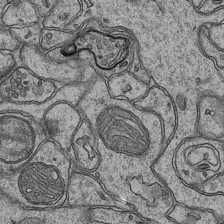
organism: Mouse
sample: CA1 Hippocampus